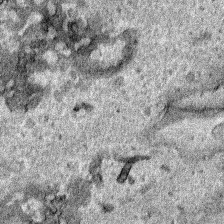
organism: Human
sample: Mitochondria in HCT116 cells